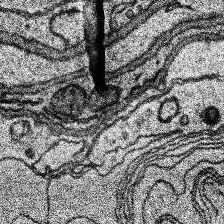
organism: Human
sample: Temporal Lobe